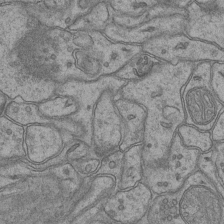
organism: Mouse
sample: CA1 Hippocampus